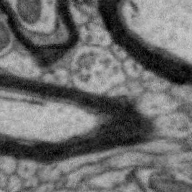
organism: Zebra finch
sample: Brain